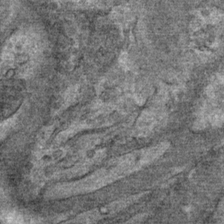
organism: Mouse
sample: Mouse Salivary gland